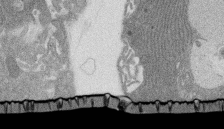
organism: Rat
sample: Salivary granule